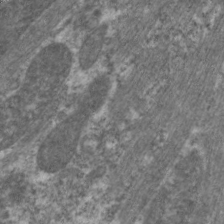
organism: C. elegans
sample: Pharynx